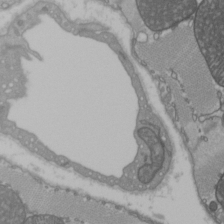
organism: C57BL Mouse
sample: Heart